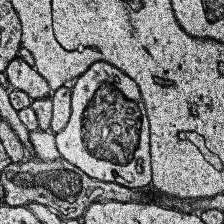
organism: Human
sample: Temporal Lobe